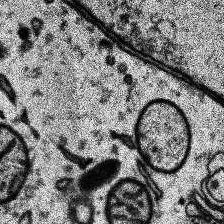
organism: Human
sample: Temporal Lobe